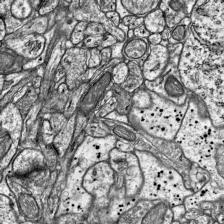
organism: Mouse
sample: Visual Cortex